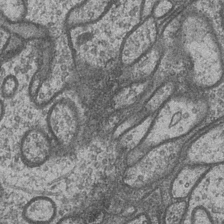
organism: Drosophila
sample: Optic medulla